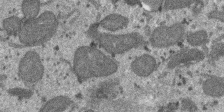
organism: Human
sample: Lung epithelial cells infected with SARS-CoV-2